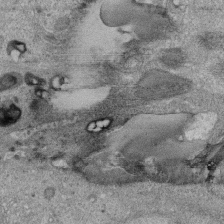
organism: Human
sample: Retinal organoid Rod and Cone cells